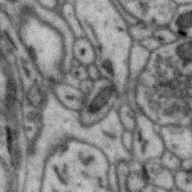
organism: Zebra finch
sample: Brain